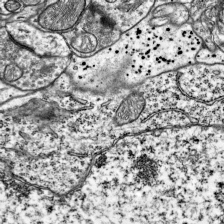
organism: Mouse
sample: Visual Cortex